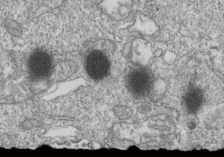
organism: Human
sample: HeLa cell HIV synapse